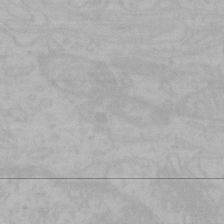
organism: Mouse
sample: Choroid plexus